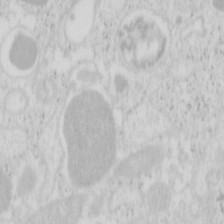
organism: Mouse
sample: Pancreas